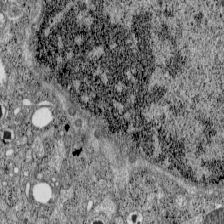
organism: C57BL Mouse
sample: Pancreatic islet